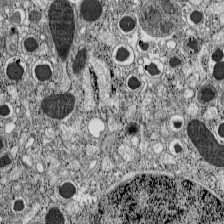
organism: C57BL Mouse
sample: Pancreatic islet